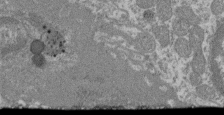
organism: Mouse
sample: Glomerulus